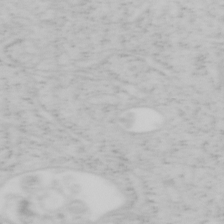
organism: Mouse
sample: OT-I killer T cells with ID8 ovarian cancer cells